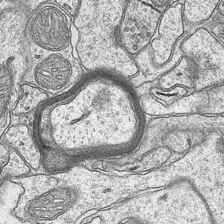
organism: Mouse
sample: CA1 Hippocampus